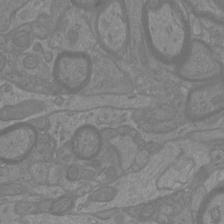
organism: Mouse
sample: Cortical neurons